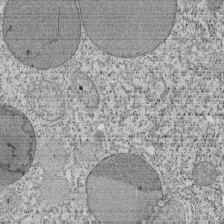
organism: Tetrahymena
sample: Cilia in tetrahymena